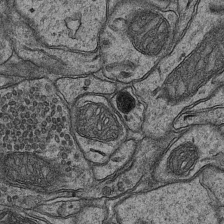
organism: Mouse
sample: CA1 Hippocampus